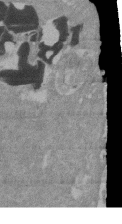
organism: Mouse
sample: ED-1 cell nuclei; centrioles